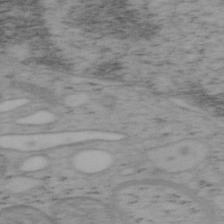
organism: Mouse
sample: OT-I killer T cells with ID8 ovarian cancer cells